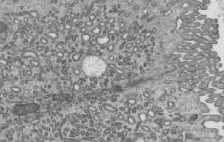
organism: Mouse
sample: Mouse epididymis efferent ductule cilia